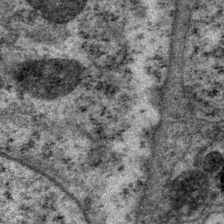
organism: P. pacificus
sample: Pharynx